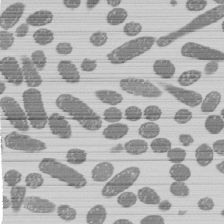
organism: E. coli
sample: Bacterial nucleoid